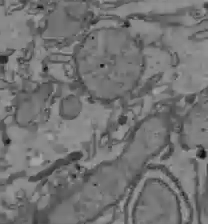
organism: C57BL Mouse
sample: Liver